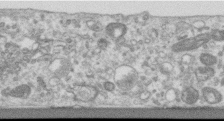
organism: Human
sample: Centriole in RPE cells